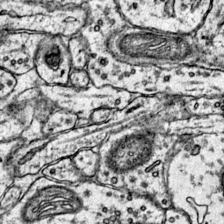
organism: Mouse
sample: Primary visual cortex